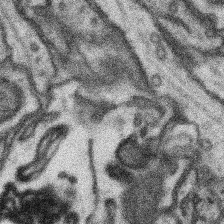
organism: Mouse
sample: Somatosensory cortex neuropil